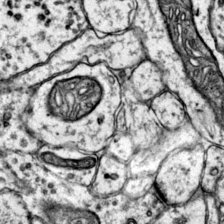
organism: Mouse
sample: Primary visual cortex